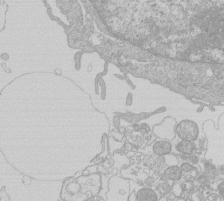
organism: Human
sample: Macrophage cells